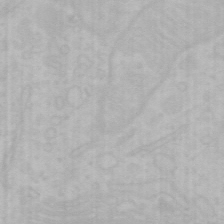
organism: Mouse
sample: Choroid plexus